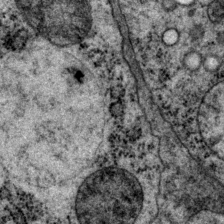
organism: P. pacificus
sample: Pharynx